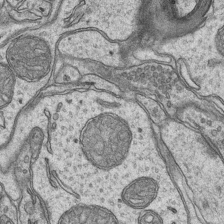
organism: Mouse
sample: CA1 Hippocampus